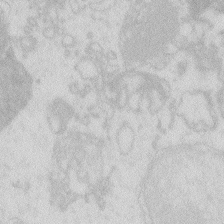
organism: Zebrafish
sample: Macrophage